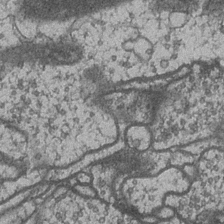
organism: Drosophila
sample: Optic medulla